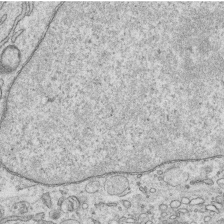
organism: Human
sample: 1205lu cells